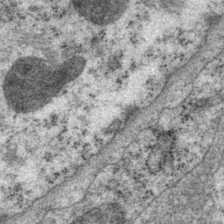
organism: P. pacificus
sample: Pharynx